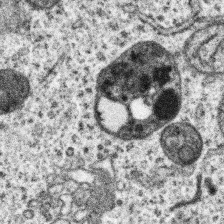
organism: Human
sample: HeLa cells